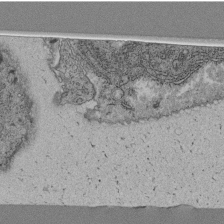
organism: C. elegans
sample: C. elegans pharynx